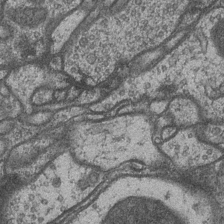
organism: Drosophila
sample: Optic medulla